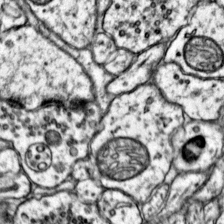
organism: Mouse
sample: Primary visual cortex